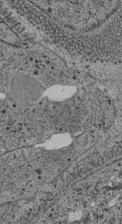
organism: C. elegans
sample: C. elegans pharynx